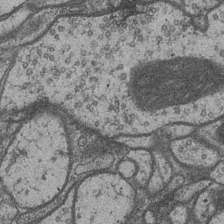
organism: Drosophila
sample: Optic medulla